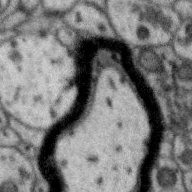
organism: Zebra finch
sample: Brain